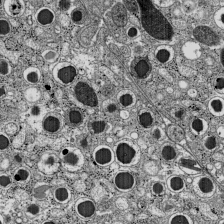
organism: C57BL Mouse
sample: Pancreatic islet